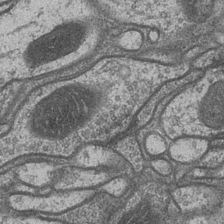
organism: Drosophila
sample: Optic medulla